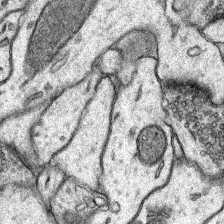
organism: Rat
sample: Hippocampus